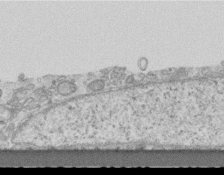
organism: Mouse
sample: Centriole in ependymal cells